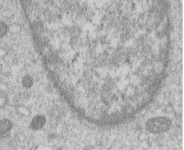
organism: Human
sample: Macrophage cells